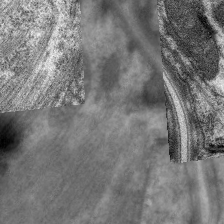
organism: C. elegans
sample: Pharynx